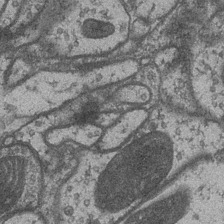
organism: Drosophila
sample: Optic medulla